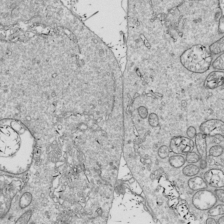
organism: Drosophila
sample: Cell division; meiosis; drosophila spermatocytes